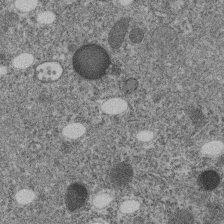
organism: C. elegans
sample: C. elegans embryo early stage